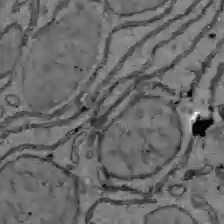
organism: C57BL Mouse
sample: Liver